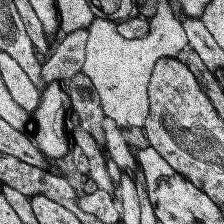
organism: Human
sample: Temporal Lobe